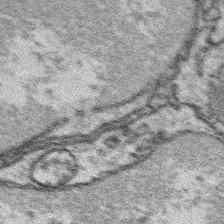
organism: Platynereis dumerilii